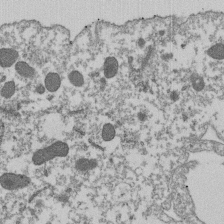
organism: Dictyostelium discoideum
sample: Dictyostelium multivesicular bodies